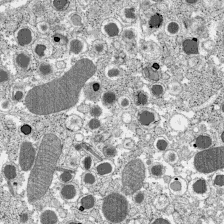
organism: C57BL Mouse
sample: Pancreatic islet